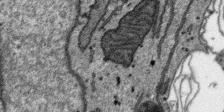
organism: Human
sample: Lung epithelial cells, uninfected (mock) control